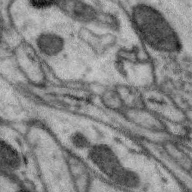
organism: Zebra finch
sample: Brain